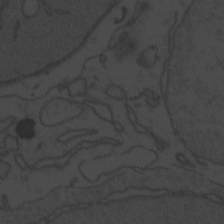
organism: Zebrafish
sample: Macrophage infected with Toxoplasma gondii